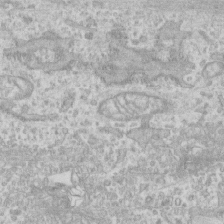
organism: Human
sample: CRL-1474